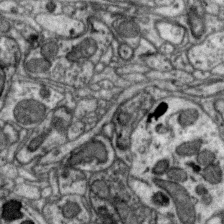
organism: Zebra finch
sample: Brain